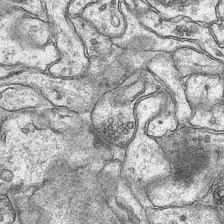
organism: Mouse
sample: CA1 Hippocampus